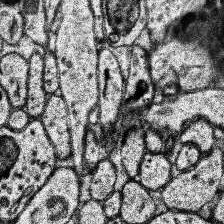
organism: Human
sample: Temporal Lobe